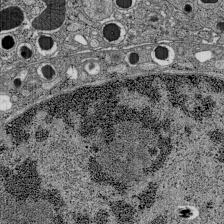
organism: C57BL Mouse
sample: Pancreatic islet